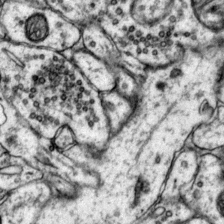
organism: Mouse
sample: Primary visual cortex